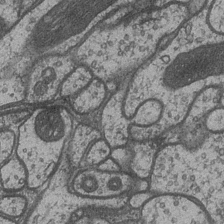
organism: Drosophila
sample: Optic medulla